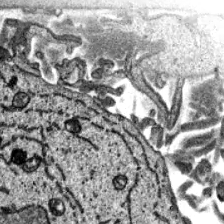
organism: Human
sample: HeLa cells